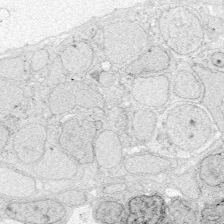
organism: Zebrafish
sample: Whole-Brain